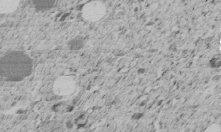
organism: C. elegans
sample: C. elegans embryo early stage